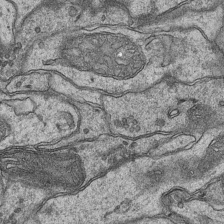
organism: Mouse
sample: CA1 Hippocampus